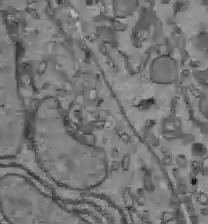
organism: C57BL Mouse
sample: Liver